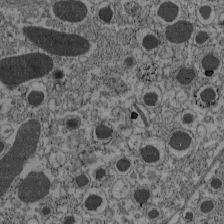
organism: C57BL Mouse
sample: Pancreatic islet